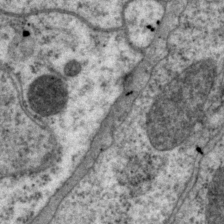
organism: P. pacificus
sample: Pharynx